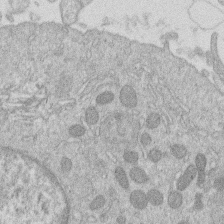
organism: Human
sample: Macrophage cells